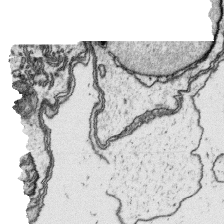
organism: Platynereis dumerilii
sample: Parapodia